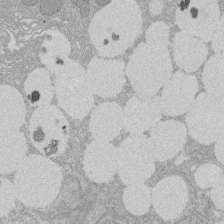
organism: Rat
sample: Salivary granule